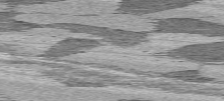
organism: C57BL Mouse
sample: Heart